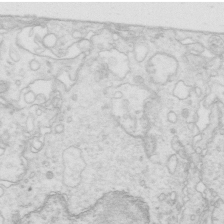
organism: Mouse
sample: Multiciliated cells